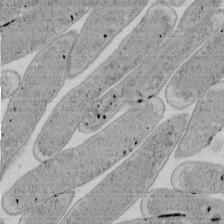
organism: E. coli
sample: Bacterial nucleoid